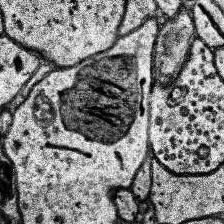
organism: Human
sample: Temporal Lobe